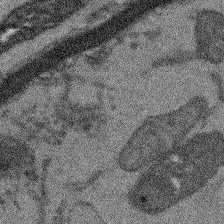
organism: Arabidopsis thaliana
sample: Root tip